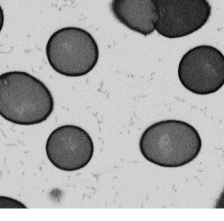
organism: B. subtilis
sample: Bacterial spore